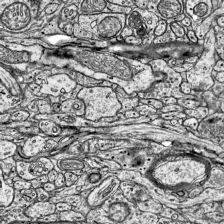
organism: Mouse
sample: Visual Cortex